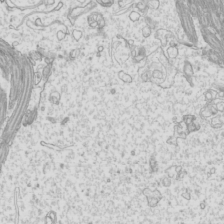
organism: Mouse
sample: Cilia; mouse epididymis